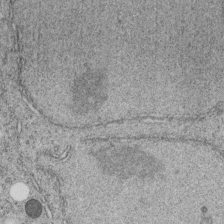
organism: C. elegans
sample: C. elegans embryo early stage